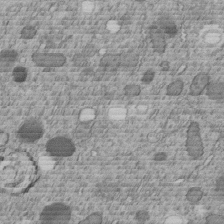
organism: C. elegans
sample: C. elegans embryo early stage